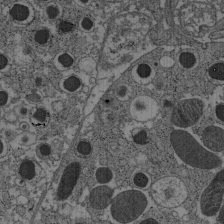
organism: C57BL Mouse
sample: Pancreatic islet